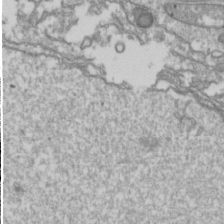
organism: Drosophila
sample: Cell division; meiosis; drosophila spermatocytes